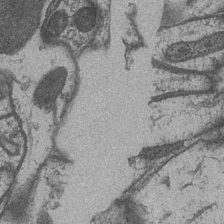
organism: Drosophila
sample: Optic medulla